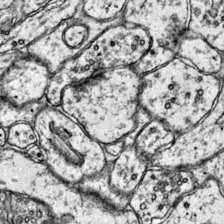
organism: Mouse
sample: Primary visual cortex